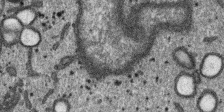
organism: Human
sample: Lung epithelial cells infected with SARS-CoV-2